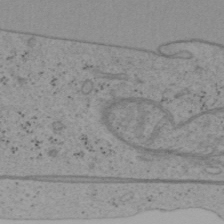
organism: Human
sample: HeLa cells